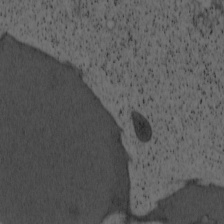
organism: African green monkey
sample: COS-7 cells